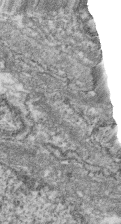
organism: Zebrafish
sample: Cilia; retinal pigment epithelium